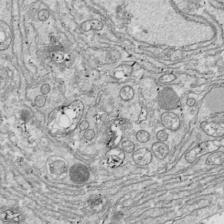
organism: Drosophila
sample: Cell division; meiosis; drosophila spermatocytes